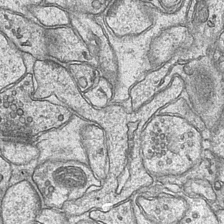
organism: Mouse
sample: CA1 Hippocampus